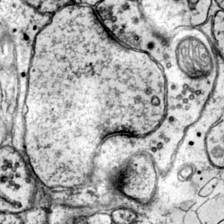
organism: Mouse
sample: Primary visual cortex